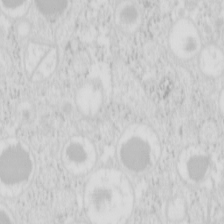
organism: Mouse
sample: Pancreas